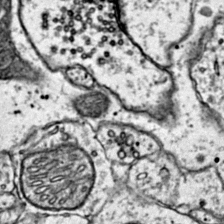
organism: Mouse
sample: Primary visual cortex